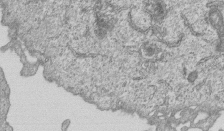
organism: Human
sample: MDA-MB-231 cells